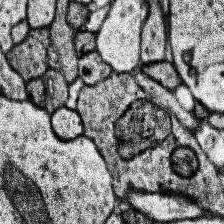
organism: Human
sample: Temporal Lobe